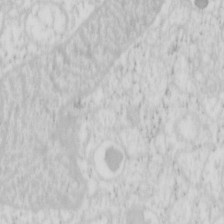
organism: Mouse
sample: Pancreas